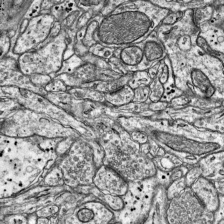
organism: Mouse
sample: Visual Cortex